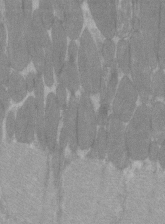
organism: C57BL Mouse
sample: Tibialis anterior muscle cell